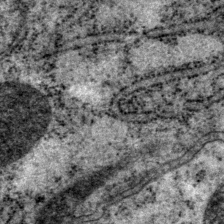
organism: P. pacificus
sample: Pharynx